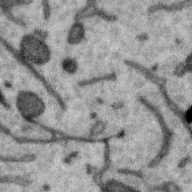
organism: Zebra finch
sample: Brain